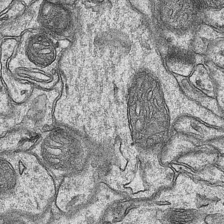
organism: Mouse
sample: CA1 Hippocampus